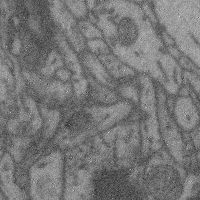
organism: Mouse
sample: Cerebral cortex